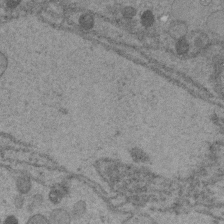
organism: C. elegans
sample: C. elegans embryo early stage